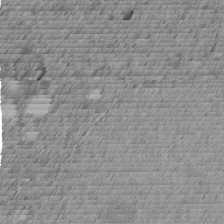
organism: C. elegans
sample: C. elegans embryo early stage